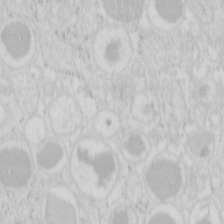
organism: Mouse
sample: Pancreas